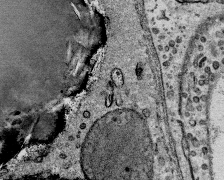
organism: Mouse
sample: Mouse Salivary gland